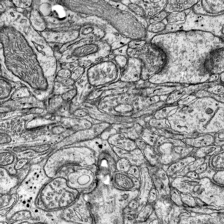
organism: Mouse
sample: Visual Cortex